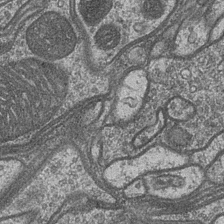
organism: Drosophila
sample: Optic medulla